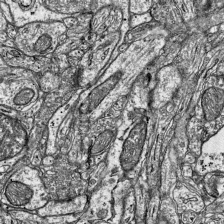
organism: Mouse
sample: Visual Cortex